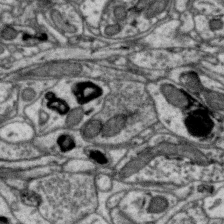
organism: Zebra finch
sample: Brain